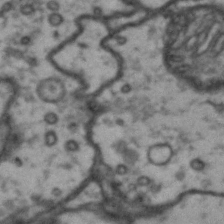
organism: Drosophila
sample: Brain